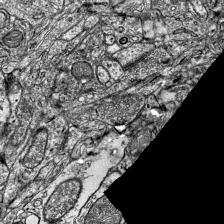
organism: Mouse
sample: Visual Cortex